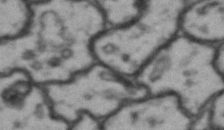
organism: Drosophila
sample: Brain